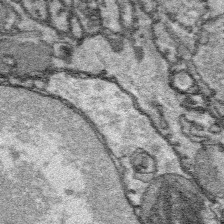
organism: Platynereis dumerilii